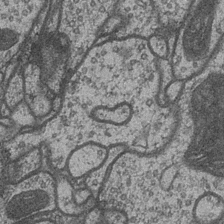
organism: Drosophila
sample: Optic medulla